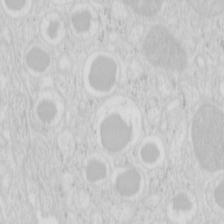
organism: Mouse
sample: Pancreas